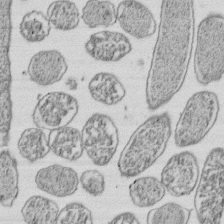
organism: E. coli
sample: Bacterial nucleoid